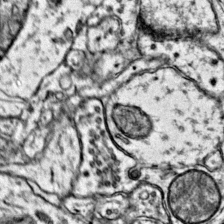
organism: Mouse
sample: Primary visual cortex